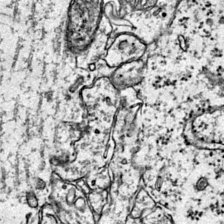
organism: Mouse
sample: Primary visual cortex